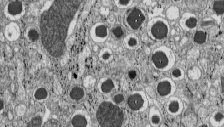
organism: C57BL Mouse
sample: Pancreatic islet